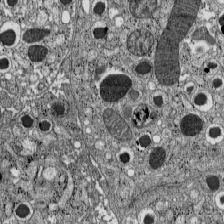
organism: C57BL Mouse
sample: Pancreatic islet